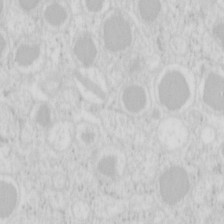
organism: Mouse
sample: Pancreas